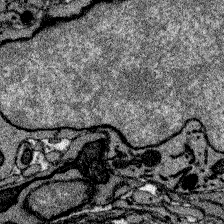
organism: Zebrafish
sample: Larval olfactory bulb